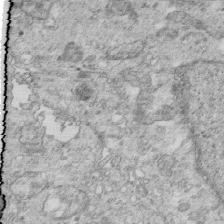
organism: Mouse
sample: Multiciliated cells